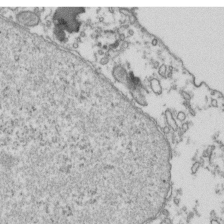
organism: Human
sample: Activated Jurkat CD4+ T cells